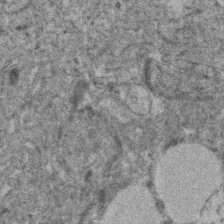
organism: Human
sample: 1205lu cells